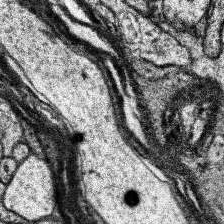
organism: Human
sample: Temporal Lobe